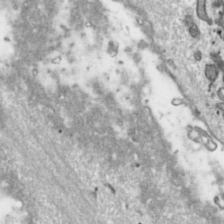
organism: Toxoplasma gondii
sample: Parasites in a vacuole inside a host cell